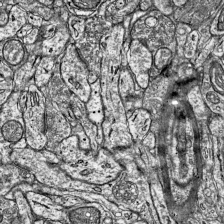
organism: Mouse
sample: Visual Cortex